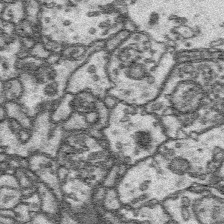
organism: Platynereis dumerilii